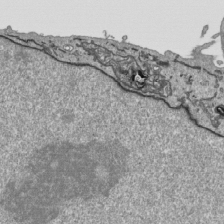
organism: Human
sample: Mitochondria in HCT116 cells